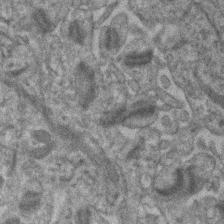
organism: Human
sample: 1205lu cells